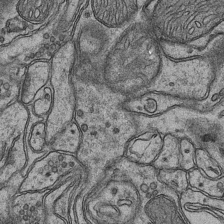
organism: Mouse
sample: CA1 Hippocampus